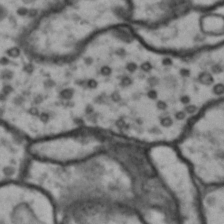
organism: Drosophila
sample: Brain